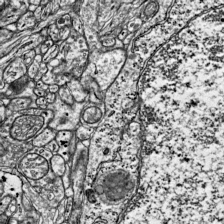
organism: Mouse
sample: Visual Cortex